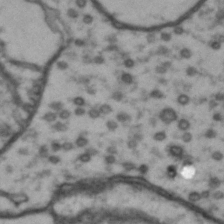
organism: Drosophila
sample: Brain